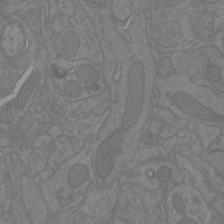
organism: Mouse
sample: Cortical neurons